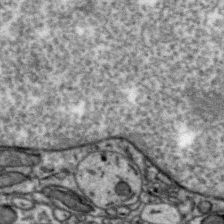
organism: Zebra finch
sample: Brain